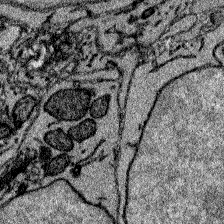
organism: Zebrafish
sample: Larval olfactory bulb